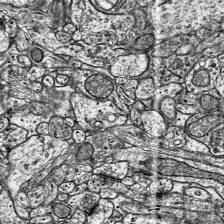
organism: Mouse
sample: Visual Cortex